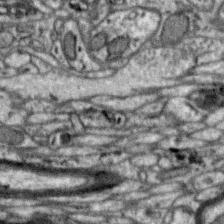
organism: Zebra finch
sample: Brain